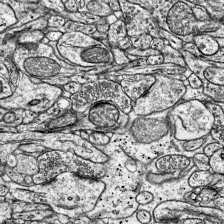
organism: Mouse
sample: Visual Cortex